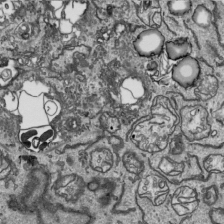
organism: Human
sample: Mitochondria in HCT116 cells